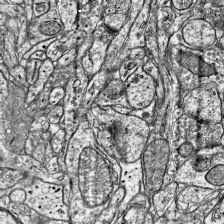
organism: Mouse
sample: Visual Cortex